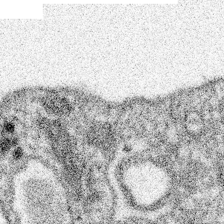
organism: Spongilla lacustris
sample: Neuroid cell